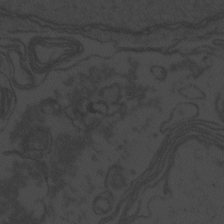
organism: Zebrafish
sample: Macrophage infected with Toxoplasma gondii